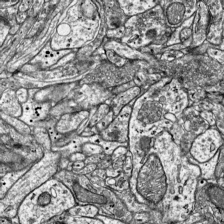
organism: Mouse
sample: Visual Cortex